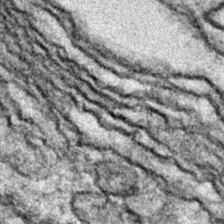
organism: Zebrafish